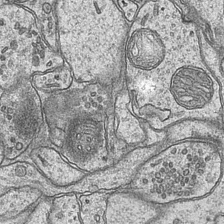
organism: Mouse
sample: CA1 Hippocampus